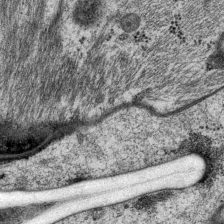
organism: P. pacificus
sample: Pharynx